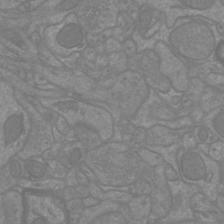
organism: Mouse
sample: Cortical neurons